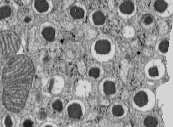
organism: C57BL Mouse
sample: Pancreatic islet